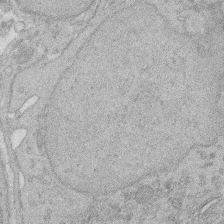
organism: Rat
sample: Salivary granule